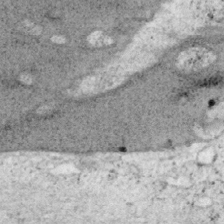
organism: Mouse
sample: OT-I killer T cells with ID8 ovarian cancer cells